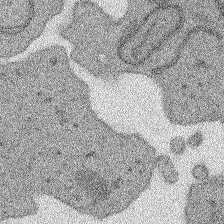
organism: Human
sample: HeLa cells